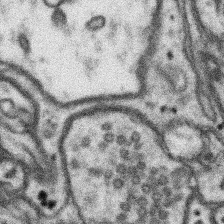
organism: Mouse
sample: Somatosensory cortex neuropil